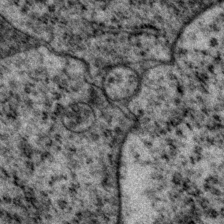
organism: P. pacificus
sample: Pharynx